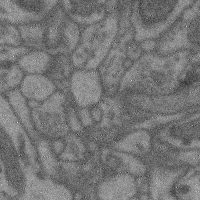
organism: Mouse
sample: Cerebral cortex